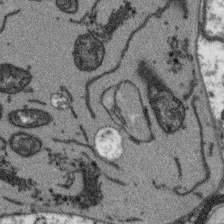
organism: Arabidopsis thaliana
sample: Root tip